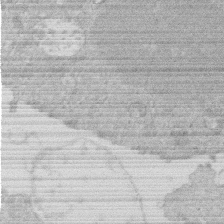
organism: Human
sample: Macrophage cells